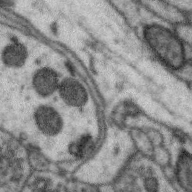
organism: Zebra finch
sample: Brain